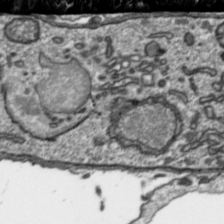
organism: Toxoplasma gondii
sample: Parasites in a vacuole inside a host cell